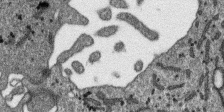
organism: Human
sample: Lung epithelial cells infected with SARS-CoV-2